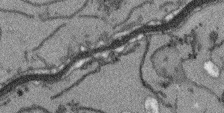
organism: Arabidopsis thaliana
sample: Root tip